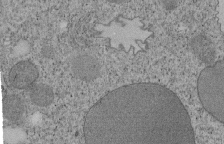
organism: Tetrahymena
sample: Cilia in tetrahymena